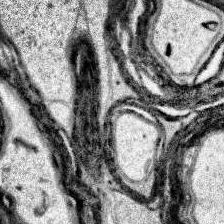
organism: Human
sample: Temporal Lobe